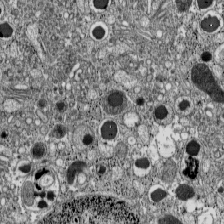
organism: C57BL Mouse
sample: Pancreatic islet